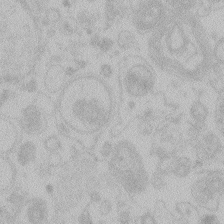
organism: Zebrafish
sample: Macrophage infected with Toxoplasma gondii